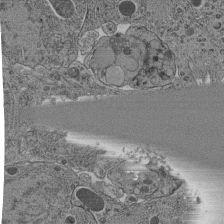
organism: C. elegans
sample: C. elegans pharynx